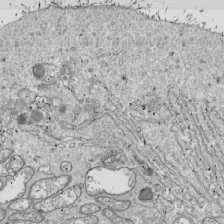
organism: Drosophila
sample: Cell division; meiosis; drosophila spermatocytes